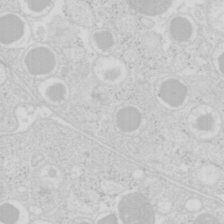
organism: Mouse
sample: Pancreas